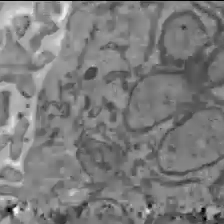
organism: C57BL Mouse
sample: Liver